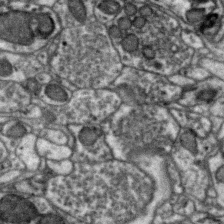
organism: Zebra finch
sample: Brain